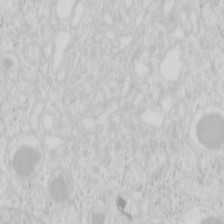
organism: Mouse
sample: Pancreas